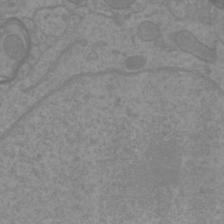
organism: Mouse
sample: Cortical neurons